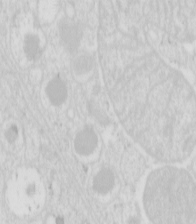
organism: Mouse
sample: Pancreas